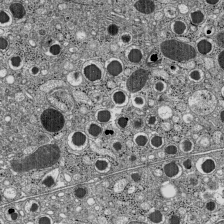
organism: C57BL Mouse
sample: Pancreatic islet